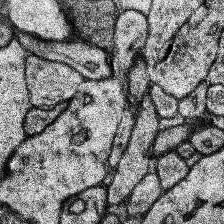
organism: Human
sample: Temporal Lobe